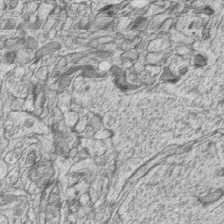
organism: Zebrafish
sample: synaptic ribbons in rod cells and cone cells